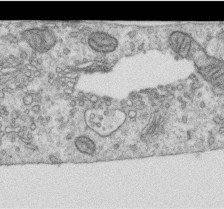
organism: Human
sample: Centriole in RPE cells